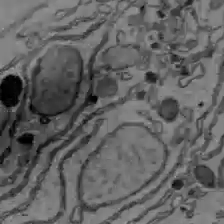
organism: C57BL Mouse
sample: Liver